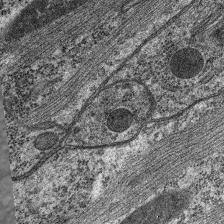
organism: C. elegans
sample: Pharynx